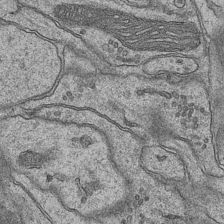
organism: Mouse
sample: CA1 Hippocampus